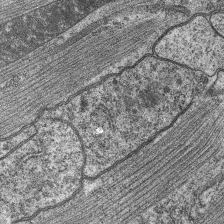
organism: C. elegans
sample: Pharynx